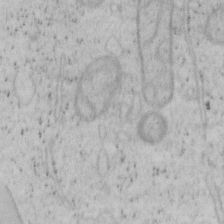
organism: Human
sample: HeLa cells